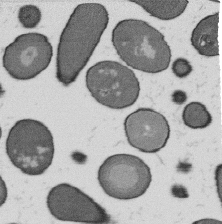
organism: B. subtilis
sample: Bacterial spore